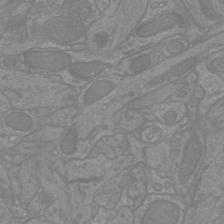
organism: Mouse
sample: Cortical neurons